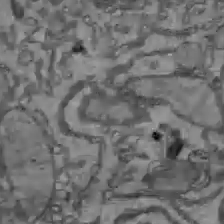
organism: C57BL Mouse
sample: Liver